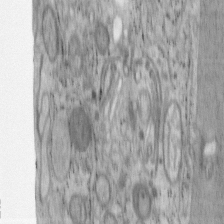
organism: Human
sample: HeLa cells